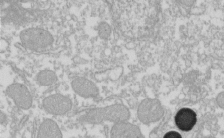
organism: Xenopus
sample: Cilia; centrioles in frog embryo cells